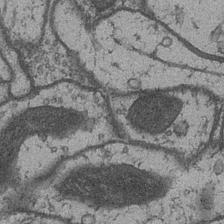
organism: Drosophila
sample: Optic medulla